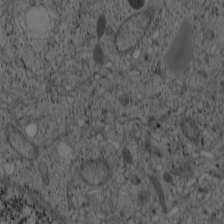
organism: African green monkey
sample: COS-7 cells